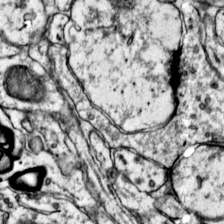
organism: Mouse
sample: Primary visual cortex